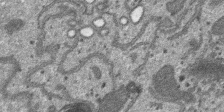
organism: Human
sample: Lung epithelial cells infected with SARS-CoV-2